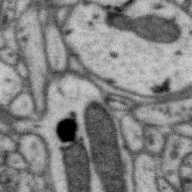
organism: Zebra finch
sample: Brain